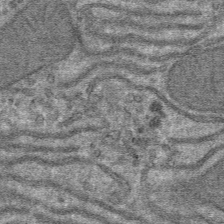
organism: Mouse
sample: Mouse hepatocytes